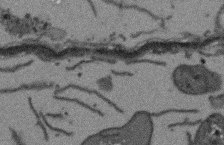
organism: Arabidopsis thaliana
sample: Root tip